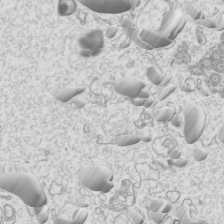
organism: Mouse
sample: Cilia; mouse epididymis